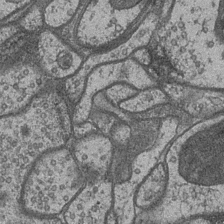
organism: Drosophila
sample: Optic medulla